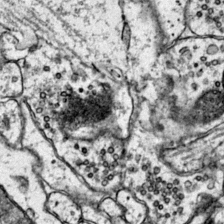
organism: Mouse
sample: Primary visual cortex